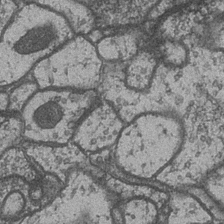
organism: Drosophila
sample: Optic medulla